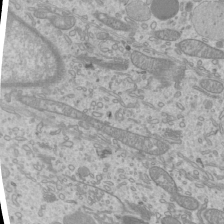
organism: Mouse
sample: Cilia; mouse epididymis